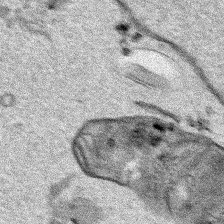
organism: Human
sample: Mitochondria in HCT116 cells